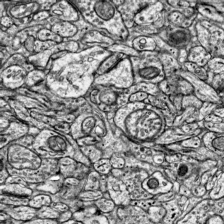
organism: Mouse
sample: Visual Cortex